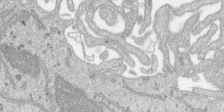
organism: Human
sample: Lung epithelial cells infected with SARS-CoV-2